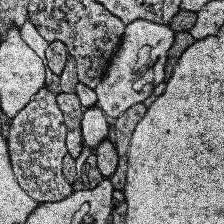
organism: Human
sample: Temporal Lobe